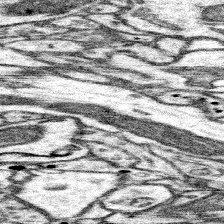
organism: Mouse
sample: Somatosensory cortex neuropil